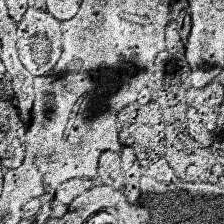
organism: Human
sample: Temporal Lobe